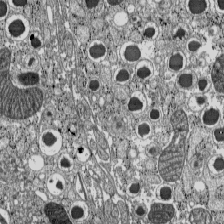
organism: C57BL Mouse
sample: Pancreatic islet